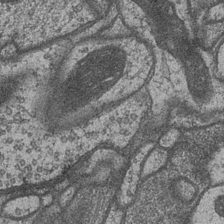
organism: Drosophila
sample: Optic medulla